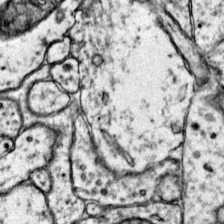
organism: Mouse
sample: Primary visual cortex